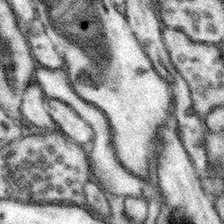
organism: Mouse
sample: Somatosensory cortex neuropil